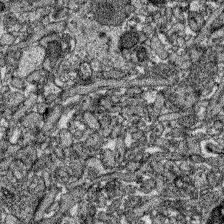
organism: Zebrafish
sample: Larval olfactory bulb